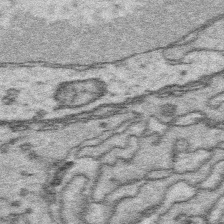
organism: Platynereis dumerilii